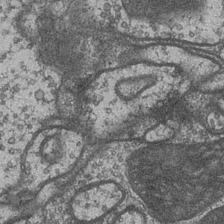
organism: Drosophila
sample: Optic medulla